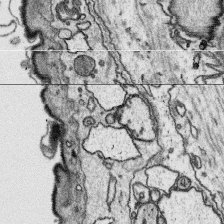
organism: Platynereis dumerilii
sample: Parapodia